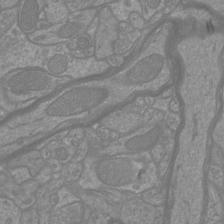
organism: Mouse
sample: Cortical neurons